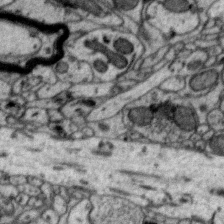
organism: Zebra finch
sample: Brain